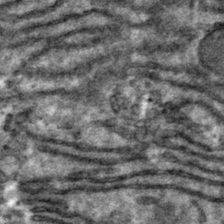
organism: Mouse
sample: Mouse hepatocytes